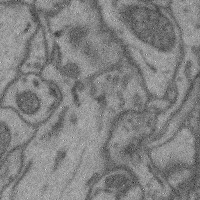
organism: Mouse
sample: Cerebral cortex